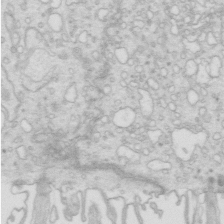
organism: Mouse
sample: Multiciliated cells